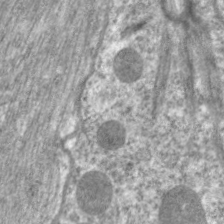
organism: C. elegans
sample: Pharynx